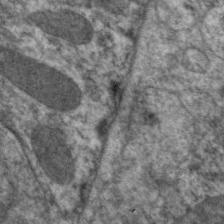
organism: C. elegans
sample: Pharynx